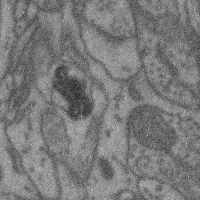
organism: Mouse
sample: Cerebral cortex